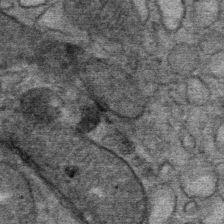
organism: Mouse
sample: Mouse Salivary gland